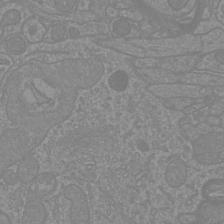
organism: Mouse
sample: Cortical neurons